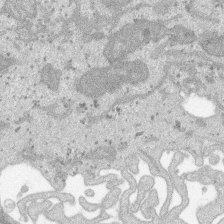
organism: Human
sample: Lung epithelial cells infected with SARS-CoV-2